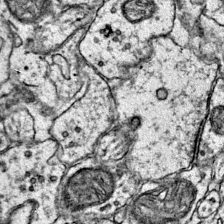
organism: Mouse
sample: Primary visual cortex